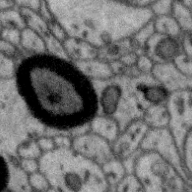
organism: Zebra finch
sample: Brain